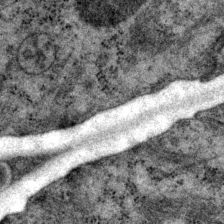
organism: P. pacificus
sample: Pharynx